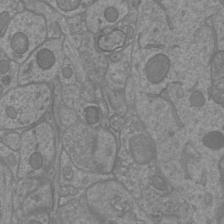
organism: Mouse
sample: Cortical neurons